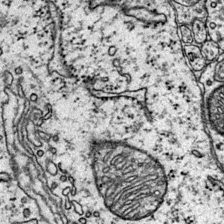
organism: Mouse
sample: Primary visual cortex